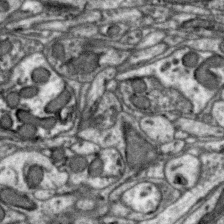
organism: Zebra finch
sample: Brain